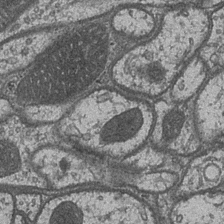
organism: Drosophila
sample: Optic medulla